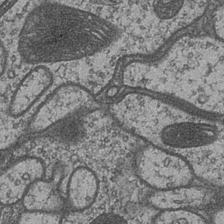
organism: Drosophila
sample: Optic medulla